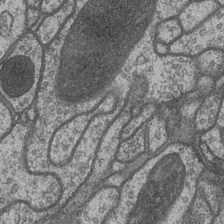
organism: Drosophila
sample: Optic medulla